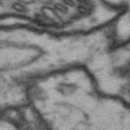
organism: Drosophila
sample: Brain